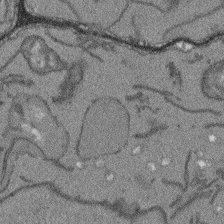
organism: Arabidopsis thaliana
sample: Root tip